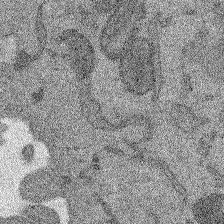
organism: Human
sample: HeLa cells